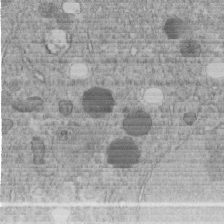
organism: C. elegans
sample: C. elegans embryo early stage